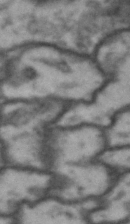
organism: Drosophila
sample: Brain